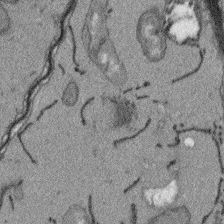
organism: Arabidopsis thaliana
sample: Root tip